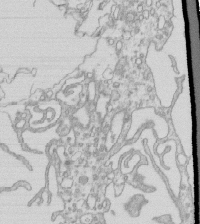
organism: Mouse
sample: Macrophages